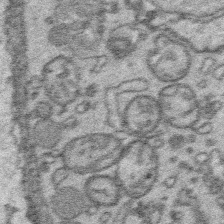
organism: Platynereis dumerilii